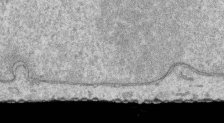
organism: Human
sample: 1205lu cells